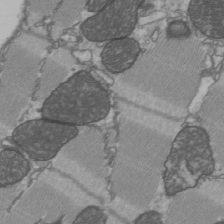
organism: C57BL Mouse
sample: Heart